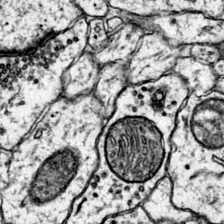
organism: Mouse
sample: Primary visual cortex